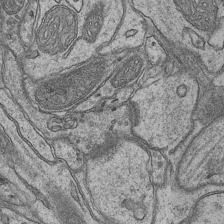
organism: Mouse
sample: CA1 Hippocampus